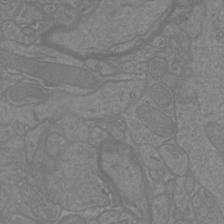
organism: Mouse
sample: Cortical neurons